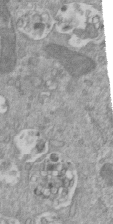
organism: Mouse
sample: ED-1 cell nuclei; centrioles